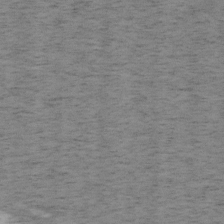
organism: Mouse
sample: OT-I killer T cells with ID8 ovarian cancer cells